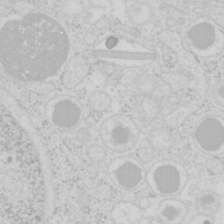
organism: Mouse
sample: Pancreas